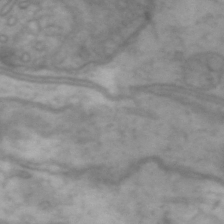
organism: Drosophila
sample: Brain